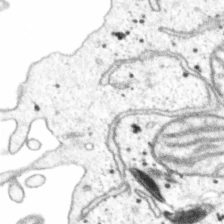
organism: Human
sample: HeLa cells